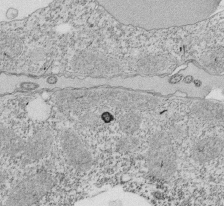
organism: Tetrahymena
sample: Cilia in tetrahymena